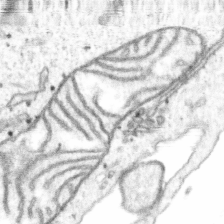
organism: Human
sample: HeLa cells